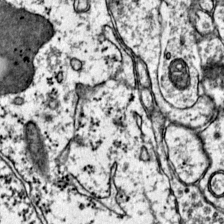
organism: Mouse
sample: Primary visual cortex